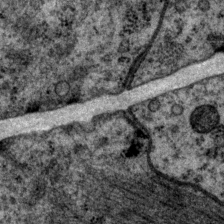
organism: P. pacificus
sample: Pharynx